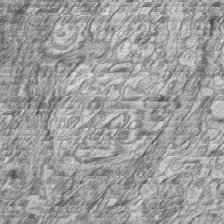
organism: Zebrafish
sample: synaptic ribbons in rod cells and cone cells